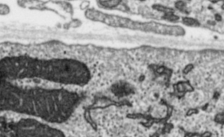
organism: Toxoplasma gondii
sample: Parasites in a vacuole inside a host cell